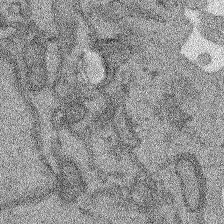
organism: Human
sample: HeLa cells